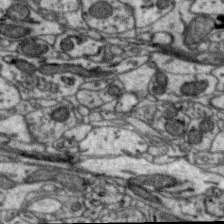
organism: Zebra finch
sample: Brain